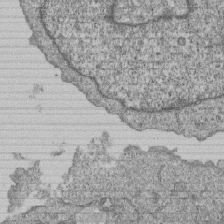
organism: Human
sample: MDA-MB-231 cells